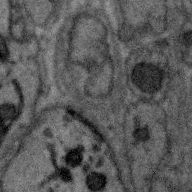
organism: Zebra finch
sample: Brain